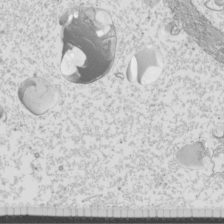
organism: Mouse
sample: Cilia; mouse epididymis